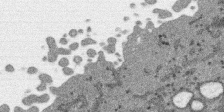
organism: Human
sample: Lung epithelial cells infected with SARS-CoV-2